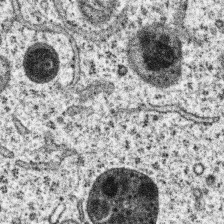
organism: Human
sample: HeLa cells